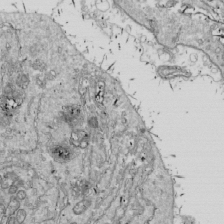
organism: Drosophila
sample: Cell division; meiosis; drosophila spermatocytes